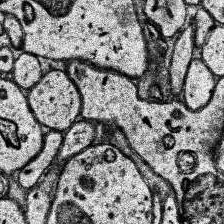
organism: Human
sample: Temporal Lobe